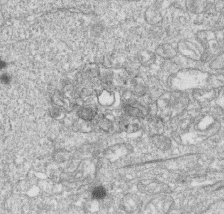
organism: Human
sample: HeLa cell HIV synapse